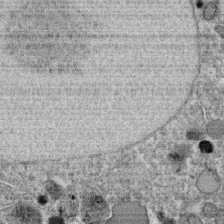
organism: C. elegans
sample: C. elegans oocyte; sperm cells